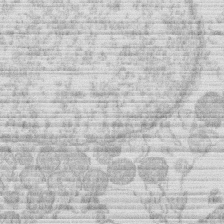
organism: Human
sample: Macrophage cells